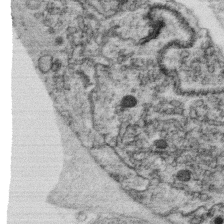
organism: C. elegans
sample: C. elegans oocyte; sperm cells